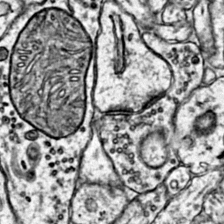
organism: Mouse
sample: Primary visual cortex